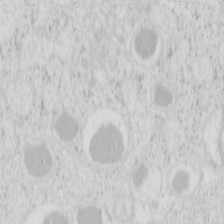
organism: Mouse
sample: Pancreas